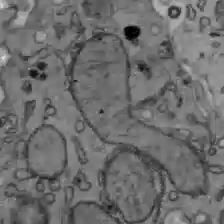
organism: C57BL Mouse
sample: Liver